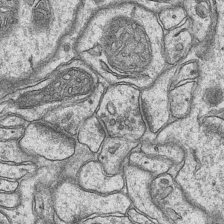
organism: Mouse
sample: CA1 Hippocampus